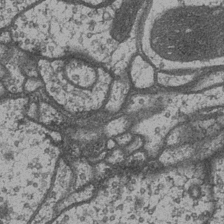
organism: Drosophila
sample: Optic medulla